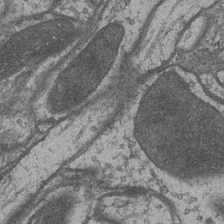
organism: Drosophila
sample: Optic medulla